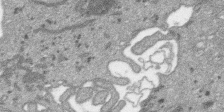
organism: Human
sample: Lung epithelial cells infected with SARS-CoV-2